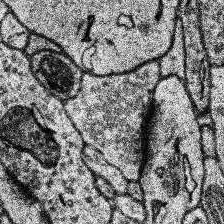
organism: Human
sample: Temporal Lobe